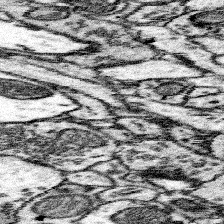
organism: Mouse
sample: Somatosensory cortex neuropil